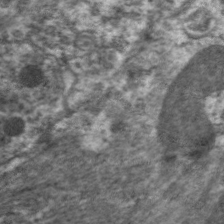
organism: C. elegans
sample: Pharynx